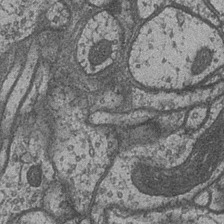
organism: Drosophila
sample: Optic medulla